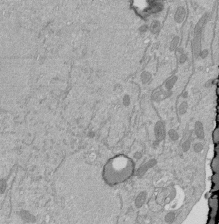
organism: Mouse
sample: ED-1 cell nuclei; centrioles